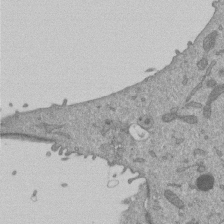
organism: Mouse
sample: ED-1 cell nuclei; centrioles